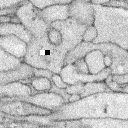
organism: Rabbit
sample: Retina